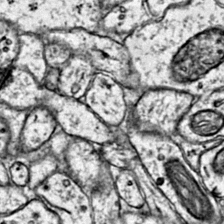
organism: Mouse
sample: Primary visual cortex